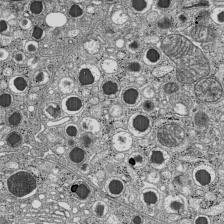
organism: C57BL Mouse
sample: Pancreatic islet